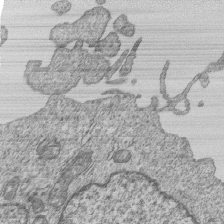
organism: Human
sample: MDA-MB-231 cells